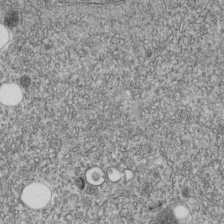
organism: C. elegans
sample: C. elegans embryo early stage